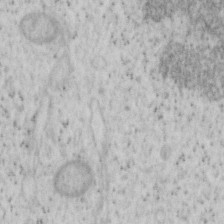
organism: Human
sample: HeLa cells